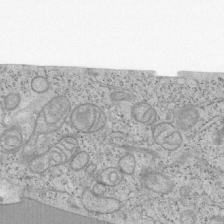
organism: Human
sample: HeLa cells